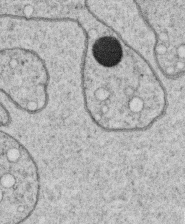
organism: C. elegans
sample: C. elegans oocyte; sperm cells